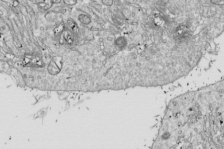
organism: Drosophila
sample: Cell division; meiosis; drosophila spermatocytes